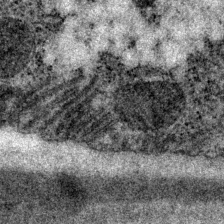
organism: P. pacificus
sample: Pharynx